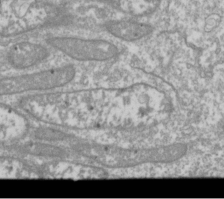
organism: Drosophila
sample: Cell division; meiosis; drosophila spermatocytes